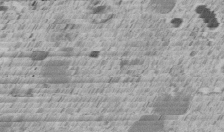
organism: C. elegans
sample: C. elegans embryo early stage